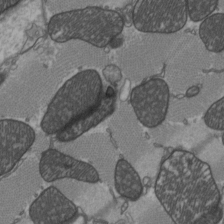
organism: C57BL Mouse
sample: Heart